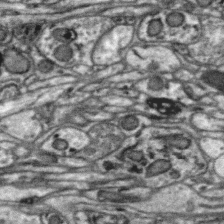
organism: Zebra finch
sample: Brain